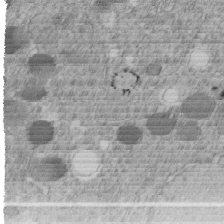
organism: C. elegans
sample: C. elegans embryo early stage